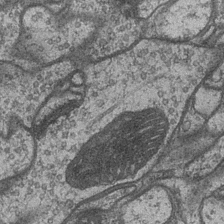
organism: Drosophila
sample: Optic medulla